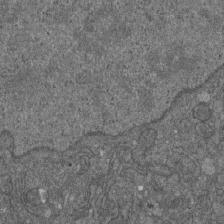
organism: Drosophila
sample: Nephrocyte